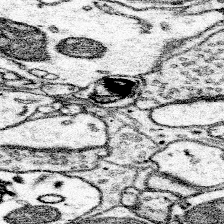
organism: Mouse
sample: Somatosensory cortex neuropil